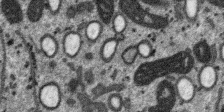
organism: Human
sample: Lung epithelial cells infected with SARS-CoV-2